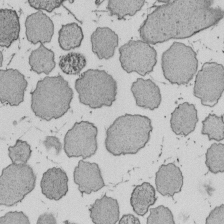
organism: E. coli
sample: Bacterial nucleoid